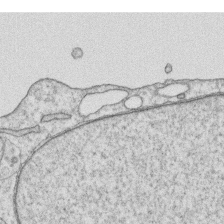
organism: Human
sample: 1205lu cells